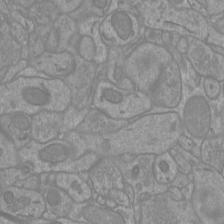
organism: Mouse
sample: Cortical neurons